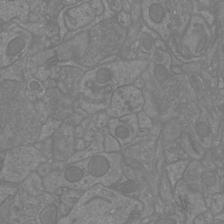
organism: Mouse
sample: Cortical neurons